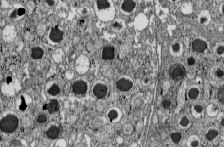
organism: C57BL Mouse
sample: Pancreatic islet